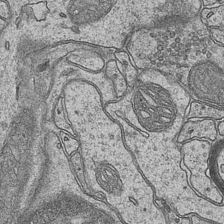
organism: Mouse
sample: CA1 Hippocampus